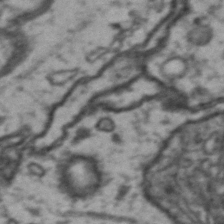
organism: Drosophila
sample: Brain